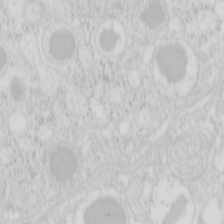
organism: Mouse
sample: Pancreas